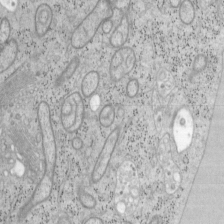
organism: Mouse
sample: OT-I killer T cells with ID8 ovarian cancer cells